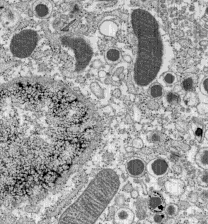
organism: C57BL Mouse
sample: Pancreatic islet